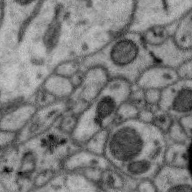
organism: Zebra finch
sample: Brain